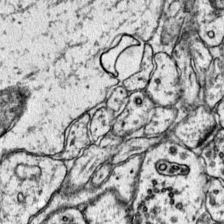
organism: Mouse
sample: Primary visual cortex